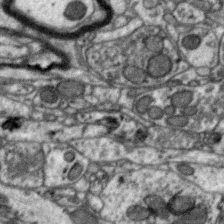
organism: Zebra finch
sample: Brain